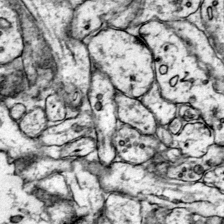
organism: Mouse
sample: Primary visual cortex